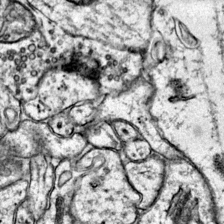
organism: Mouse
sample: Primary visual cortex